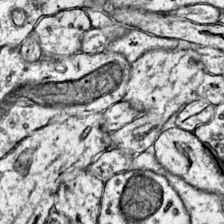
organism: Mouse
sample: Primary visual cortex